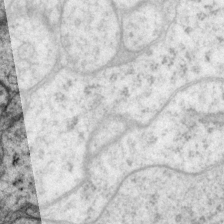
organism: P. pacificus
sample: Pharynx